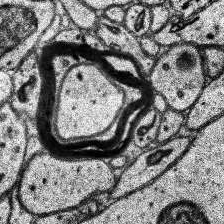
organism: Human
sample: Temporal Lobe